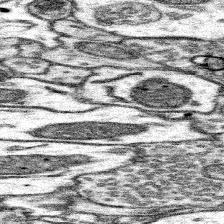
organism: Mouse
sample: Somatosensory cortex neuropil